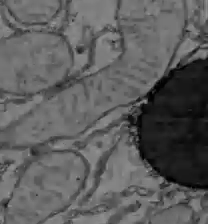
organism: C57BL Mouse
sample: Liver